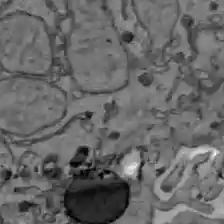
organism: C57BL Mouse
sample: Liver